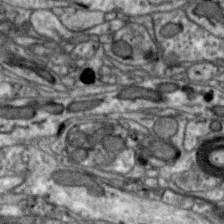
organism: Zebra finch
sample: Brain